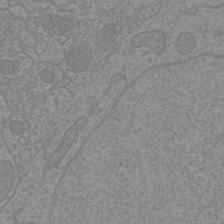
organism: Mouse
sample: Cortical neurons